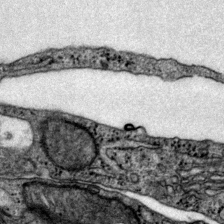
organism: Mouse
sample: Primary visual cortex